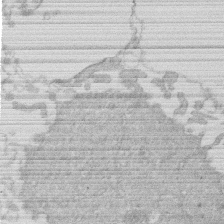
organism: Human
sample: Macrophage cells